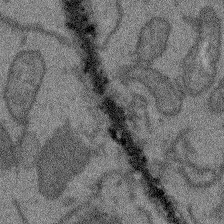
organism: Arabidopsis thaliana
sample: Root tip